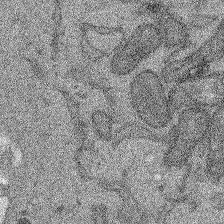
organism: Human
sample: HeLa cells